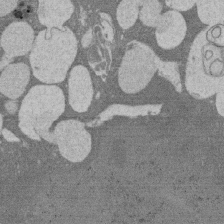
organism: Rat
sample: Salivary granule